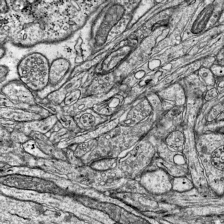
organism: Mouse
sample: Visual Cortex